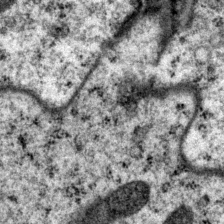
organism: P. pacificus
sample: Pharynx